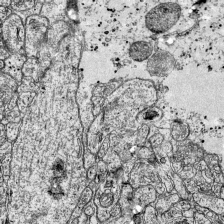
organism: Mouse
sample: Visual Cortex